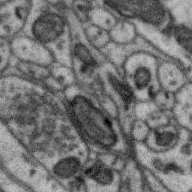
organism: Zebra finch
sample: Brain